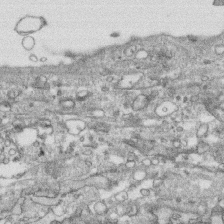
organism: Human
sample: CRL-1474